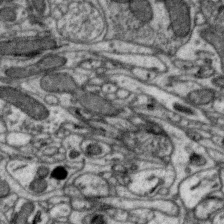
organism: Zebra finch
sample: Brain